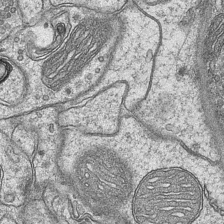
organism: Mouse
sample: CA1 Hippocampus